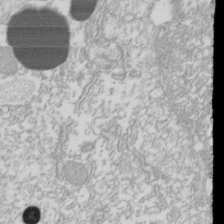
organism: Xenopus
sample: Cilia; centrioles in frog embryo cells